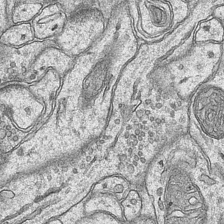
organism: Mouse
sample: CA1 Hippocampus